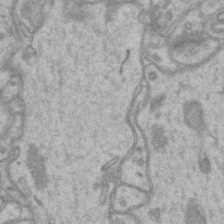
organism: Mouse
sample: CA1 Hippocampus